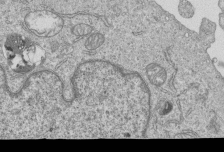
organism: Human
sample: MDA-MB-231 cells